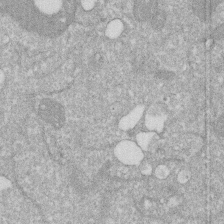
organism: Human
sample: HIV infected U937 cells